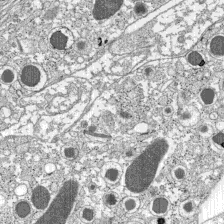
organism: C57BL Mouse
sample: Pancreatic islet